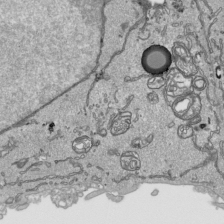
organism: Human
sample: Mitochondria in HCT116 cells